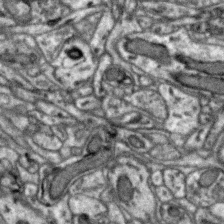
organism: Zebra finch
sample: Brain